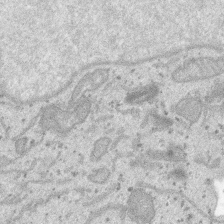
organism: Human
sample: Lung epithelial cells infected with SARS-CoV-2